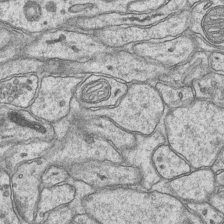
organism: Mouse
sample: CA1 Hippocampus